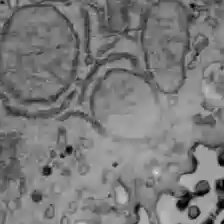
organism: C57BL Mouse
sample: Liver